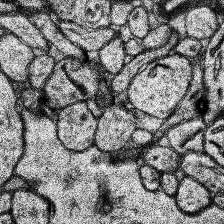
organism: Human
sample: Temporal Lobe